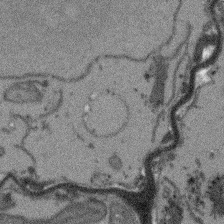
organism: Arabidopsis thaliana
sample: Root tip